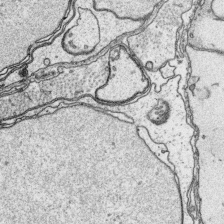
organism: Platynereis dumerilii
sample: Parapodia